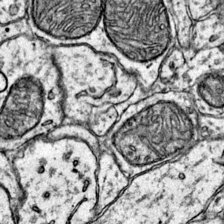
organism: Mouse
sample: Primary visual cortex